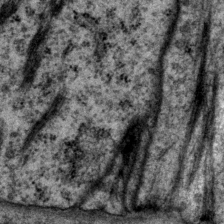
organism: P. pacificus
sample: Pharynx